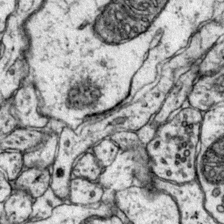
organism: Mouse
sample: Primary visual cortex